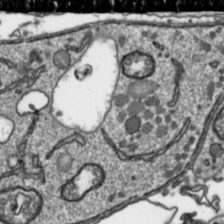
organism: Toxoplasma gondii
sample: Parasites in a vacuole inside a host cell